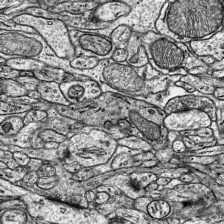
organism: Mouse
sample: Visual Cortex